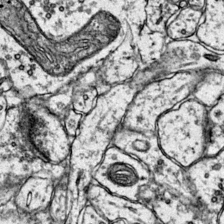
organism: Mouse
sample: Primary visual cortex